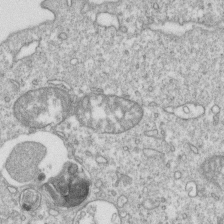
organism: Mouse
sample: Activated OT-1 CD8+ T cells